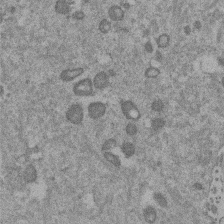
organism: Mouse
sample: Dividing mouse embryo 1 cell stage